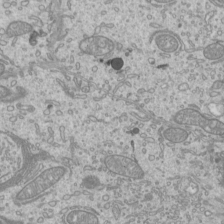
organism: Mouse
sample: Cilia; mouse epididymis